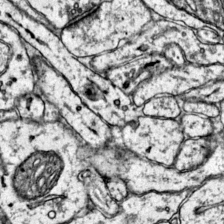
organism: Mouse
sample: Primary visual cortex